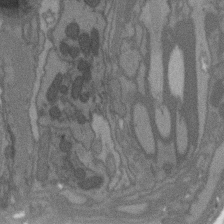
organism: C. elegans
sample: AFD neurons C. elegans